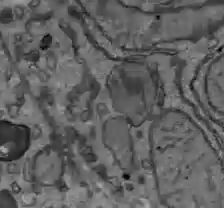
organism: C57BL Mouse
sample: Liver